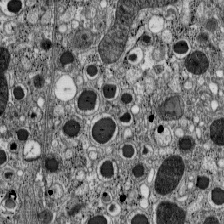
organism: C57BL Mouse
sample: Pancreatic islet